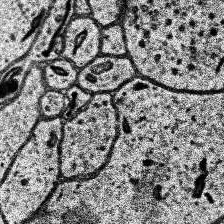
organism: Human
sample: Temporal Lobe